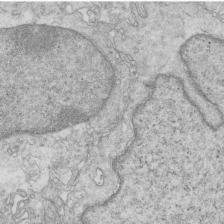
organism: Mouse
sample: Multiciliated cells